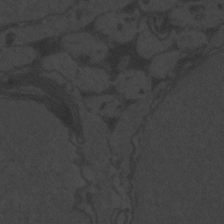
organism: Zebrafish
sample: Macrophage infected with Toxoplasma gondii